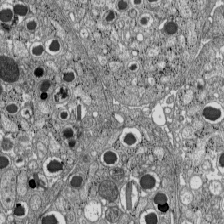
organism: C57BL Mouse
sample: Pancreatic islet